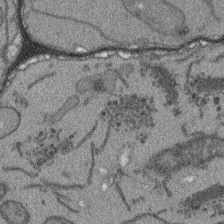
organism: Arabidopsis thaliana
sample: Root tip